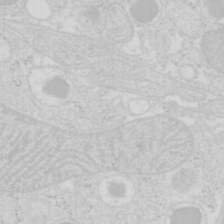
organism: Mouse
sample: Pancreas